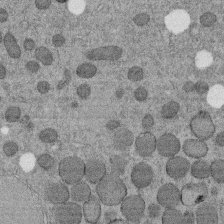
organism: C. elegans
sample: C. elegans embryo early stage